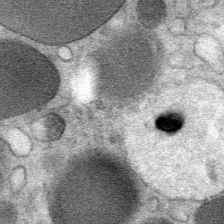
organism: Mouse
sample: Mouse Salivary gland